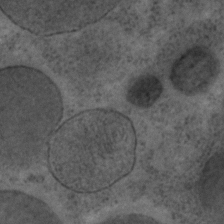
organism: C. elegans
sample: C. elegans embryo